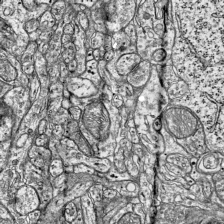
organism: Mouse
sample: Visual Cortex